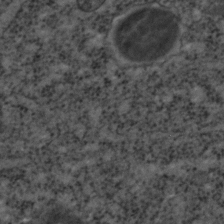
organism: C. elegans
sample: C. elegans embryo